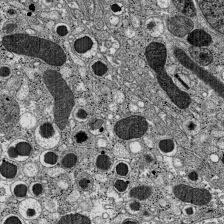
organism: C57BL Mouse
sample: Pancreatic islet